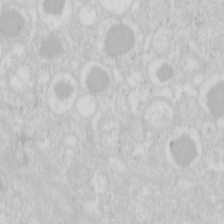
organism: Mouse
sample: Pancreas